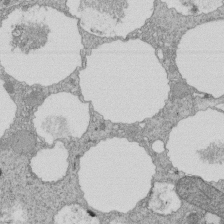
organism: Tetrahymena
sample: Cilia in tetrahymena